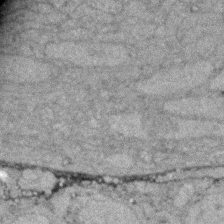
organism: Zebrafish